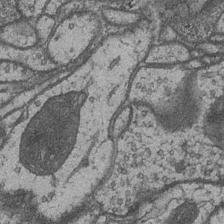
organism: Drosophila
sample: Optic medulla